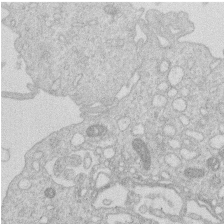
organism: Human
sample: Macrophage cells